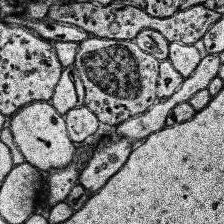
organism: Human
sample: Temporal Lobe